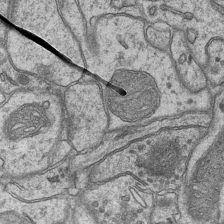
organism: Mouse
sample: CA1 Hippocampus